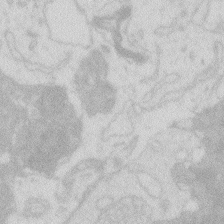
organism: Zebrafish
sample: Macrophage